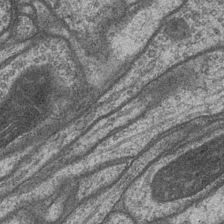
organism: Drosophila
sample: Optic medulla